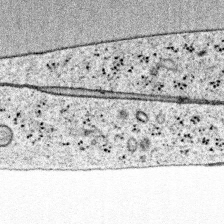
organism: Human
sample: HeLa cells